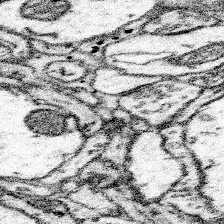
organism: Mouse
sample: Somatosensory cortex neuropil